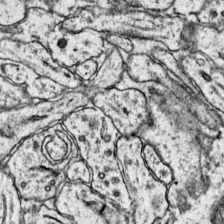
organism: Mouse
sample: Primary visual cortex